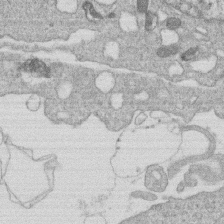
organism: Human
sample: Macrophage cells